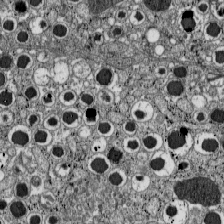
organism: C57BL Mouse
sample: Pancreatic islet